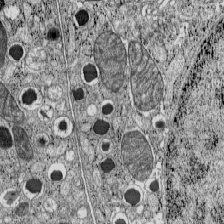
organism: C57BL Mouse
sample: Pancreatic islet